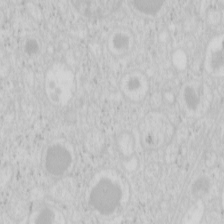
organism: Mouse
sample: Pancreas